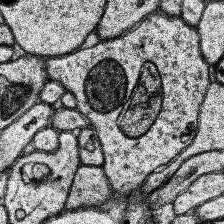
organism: Human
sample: Temporal Lobe